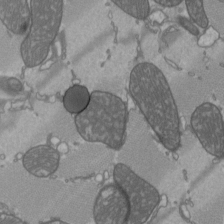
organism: C57BL Mouse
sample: Heart